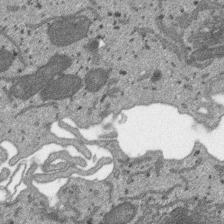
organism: Human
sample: Lung epithelial cells infected with SARS-CoV-2